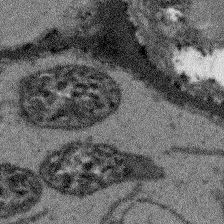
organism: Arabidopsis thaliana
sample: Root tip